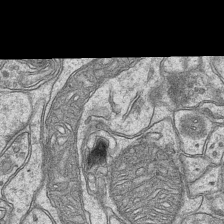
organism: Mouse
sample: CA1 Hippocampus